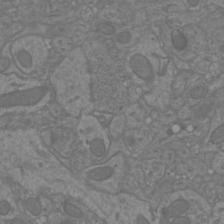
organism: Mouse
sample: Cortical neurons